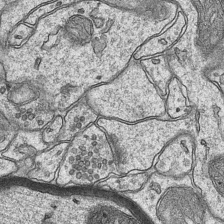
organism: Mouse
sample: CA1 Hippocampus